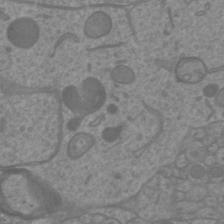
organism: Mouse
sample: Cortical neurons